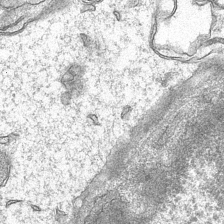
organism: Mouse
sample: CA1 Hippocampus